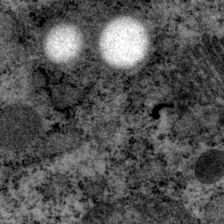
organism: P. pacificus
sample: Pharynx